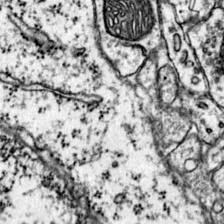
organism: Mouse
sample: Primary visual cortex